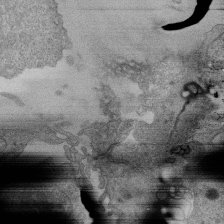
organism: Human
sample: Retinal organoid Rod and Cone cells